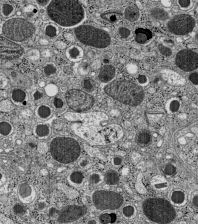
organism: C57BL Mouse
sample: Pancreatic islet